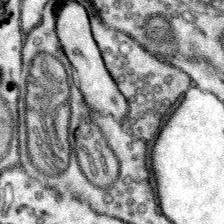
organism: Mouse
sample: Somatosensory cortex neuropil